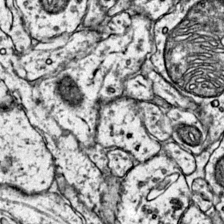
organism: Mouse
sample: Primary visual cortex